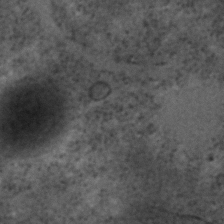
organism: C. elegans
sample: C. elegans embryo